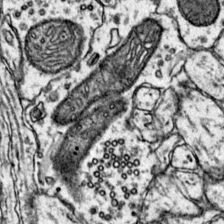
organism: Mouse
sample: Primary visual cortex